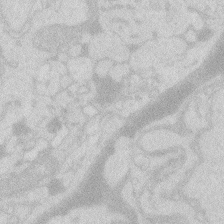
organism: Zebrafish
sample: Macrophage